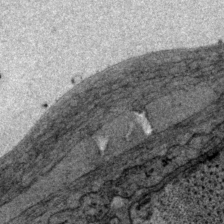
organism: P. pacificus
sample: Pharynx